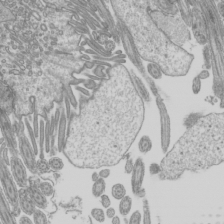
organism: Mouse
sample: Cilia; mouse epididymis